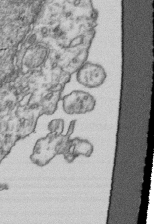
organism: Human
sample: Activated Jurkat CD4+ T cells